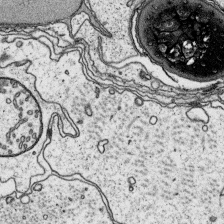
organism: Platynereis dumerilii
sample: Parapodia